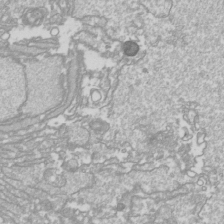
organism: Drosophila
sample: Cell division; meiosis; drosophila spermatocytes